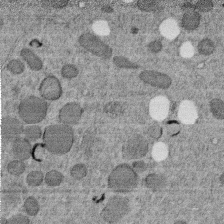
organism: C. elegans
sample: C. elegans embryo early stage